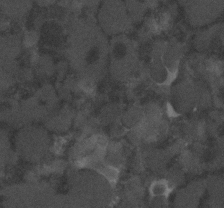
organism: C. elegans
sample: C. elegans embryo